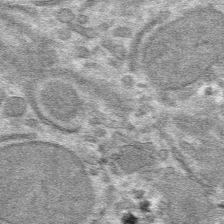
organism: Mouse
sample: Mouse hepatocytes